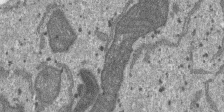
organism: Human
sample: Lung epithelial cells infected with SARS-CoV-2